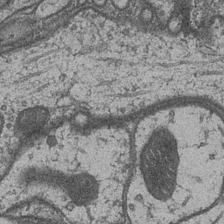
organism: Drosophila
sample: Optic medulla